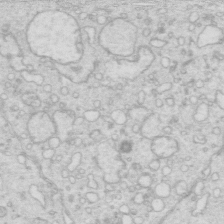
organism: Mouse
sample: Multiciliated cells